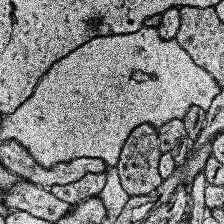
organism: Human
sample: Temporal Lobe